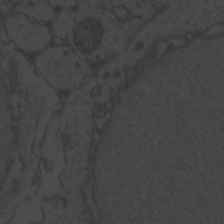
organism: Zebrafish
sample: Macrophage infected with Toxoplasma gondii